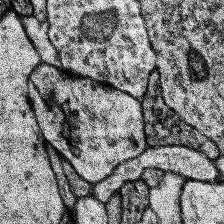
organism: Human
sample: Temporal Lobe